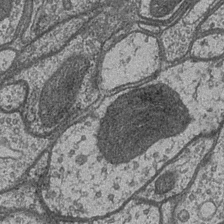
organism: Drosophila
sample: Optic medulla